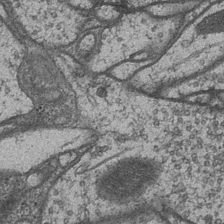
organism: Drosophila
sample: Optic medulla